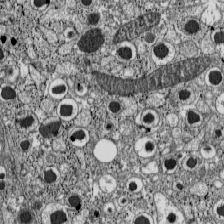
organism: C57BL Mouse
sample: Pancreatic islet